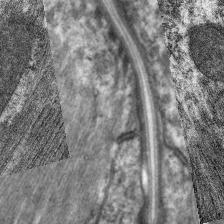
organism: C. elegans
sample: Pharynx